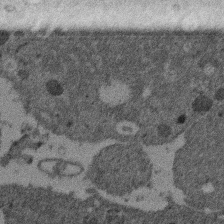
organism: Mouse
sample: Dividing mouse embryo 1 cell stage